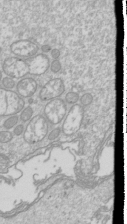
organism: Drosophila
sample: Cell division; meiosis; drosophila spermatocytes